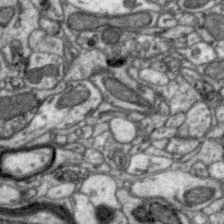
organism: Zebra finch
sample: Brain